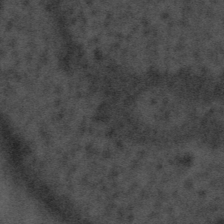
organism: Tuwongella immobilis